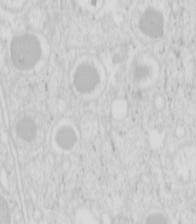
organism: Mouse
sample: Pancreas